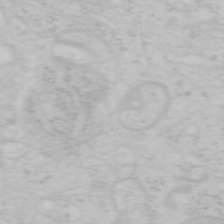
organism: Mouse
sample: OT-I killer T cells with ID8 ovarian cancer cells